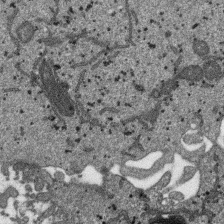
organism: Human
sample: Lung epithelial cells infected with SARS-CoV-2